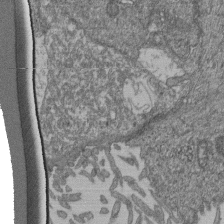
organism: Human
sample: Retinal organoid Rod and Cone cells